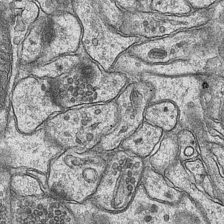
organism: Mouse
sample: CA1 Hippocampus